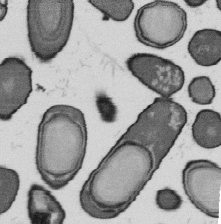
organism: B. subtilis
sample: Bacterial spore